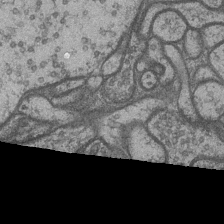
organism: Drosophila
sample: Optic medulla